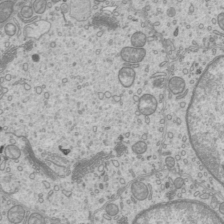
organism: Mouse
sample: Cilia; mouse epididymis